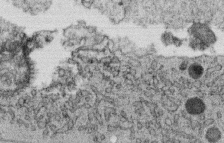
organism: C. elegans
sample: C. elegans oocyte; sperm cells